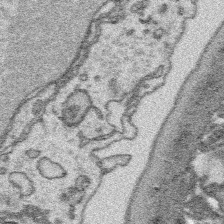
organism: Platynereis dumerilii